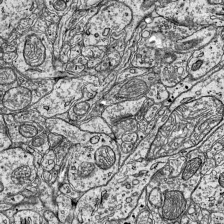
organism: Mouse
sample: Visual Cortex